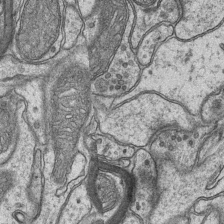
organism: Mouse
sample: CA1 Hippocampus